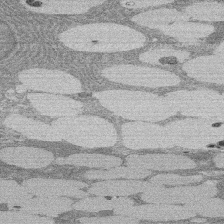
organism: Rat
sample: Salivary granule